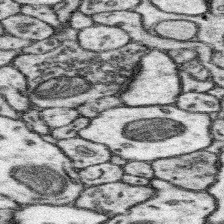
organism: Mouse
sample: Somatosensory cortex neuropil